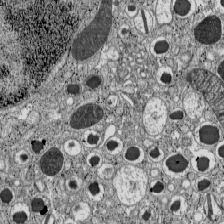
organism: C57BL Mouse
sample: Pancreatic islet